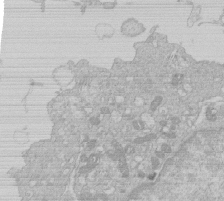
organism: Human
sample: Macrophage cells